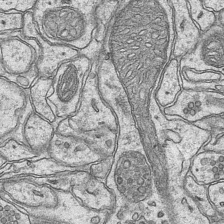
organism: Mouse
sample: CA1 Hippocampus